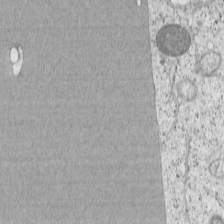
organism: African green monkey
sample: COS-7 cells